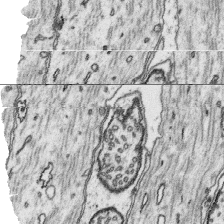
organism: Platynereis dumerilii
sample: Parapodia